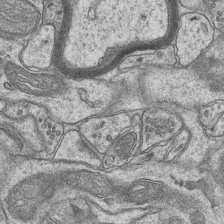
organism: Mouse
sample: CA1 Hippocampus